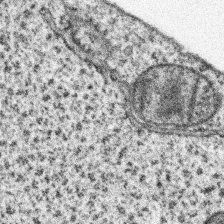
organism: Human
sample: HeLa cells